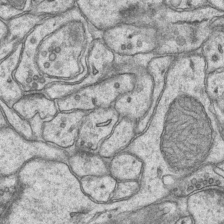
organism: Mouse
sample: CA1 Hippocampus